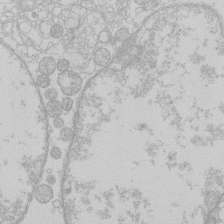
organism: Human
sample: Macrophage cells